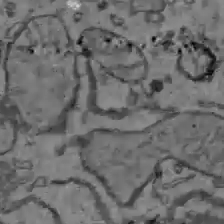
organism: C57BL Mouse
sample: Liver